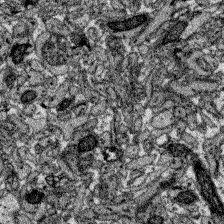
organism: Zebrafish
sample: Larval olfactory bulb